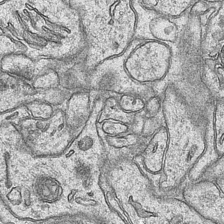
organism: Mouse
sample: CA1 Hippocampus